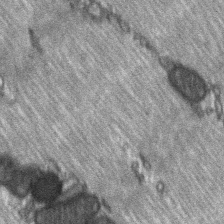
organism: C57BL Mouse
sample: Soleus